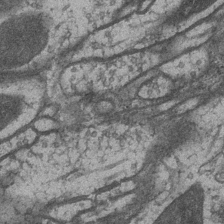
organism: Drosophila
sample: Optic medulla